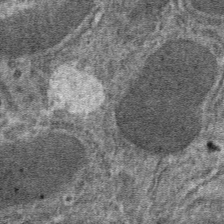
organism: Mouse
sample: Mouse hepatocytes